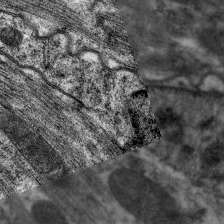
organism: C. elegans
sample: Pharynx